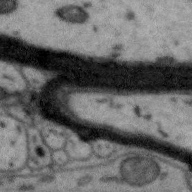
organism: Zebra finch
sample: Brain